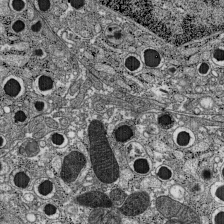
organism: C57BL Mouse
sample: Pancreatic islet